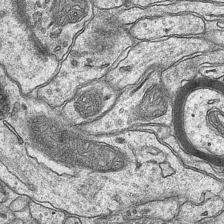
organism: Mouse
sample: CA1 Hippocampus